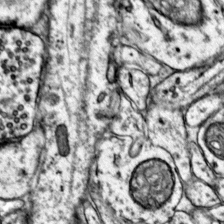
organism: Mouse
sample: Primary visual cortex